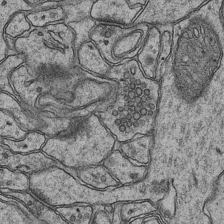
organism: Mouse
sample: CA1 Hippocampus